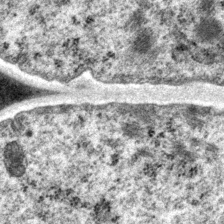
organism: P. pacificus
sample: Pharynx